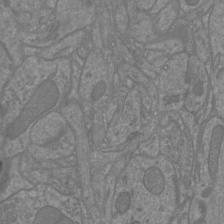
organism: Mouse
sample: Cortical neurons